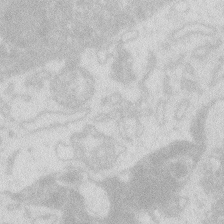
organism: Zebrafish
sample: Macrophage